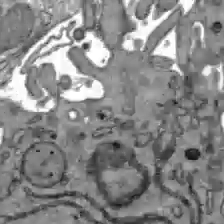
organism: C57BL Mouse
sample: Liver